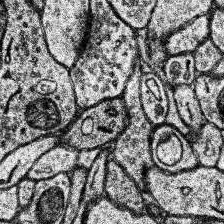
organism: Human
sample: Temporal Lobe